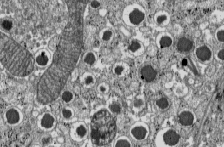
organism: C57BL Mouse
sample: Pancreatic islet